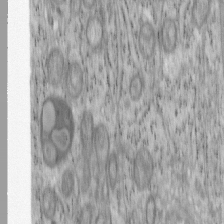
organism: Human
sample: HeLa cells